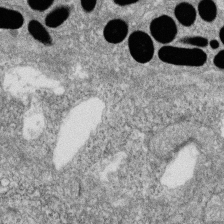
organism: Zebrafish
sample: Cilia; retinal pigment epithelium